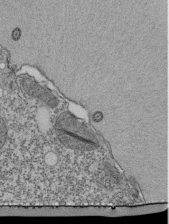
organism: Tetrahymena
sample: Cilia in tetrahymena